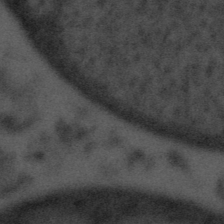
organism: Tuwongella immobilis